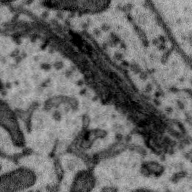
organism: Zebra finch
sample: Brain